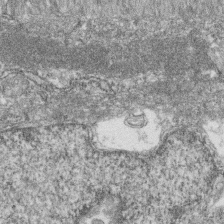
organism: Zebrafish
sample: Cilia; retinal pigment epithelium